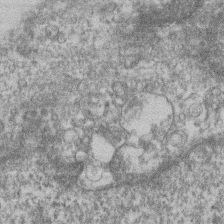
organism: Mouse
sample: T cell stromal cell synapse